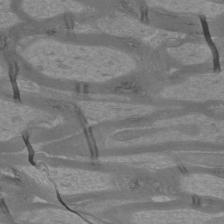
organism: Mouse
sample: Cortical neurons